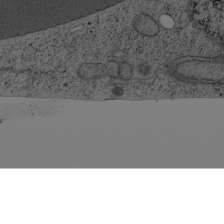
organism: African green monkey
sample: COS-7 cells